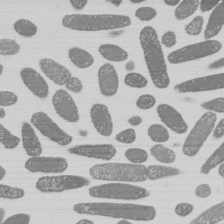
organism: E. coli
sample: Bacterial nucleoid